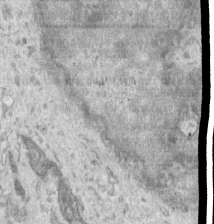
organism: Human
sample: Centriole in RPE cells